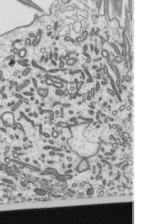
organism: Mouse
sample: Mouse epididymis efferent ductule cilia